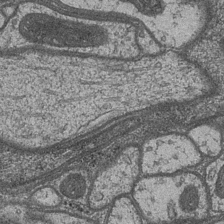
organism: Drosophila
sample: Optic medulla